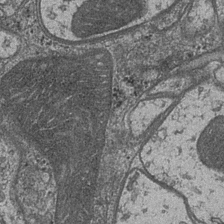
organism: Drosophila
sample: Optic medulla